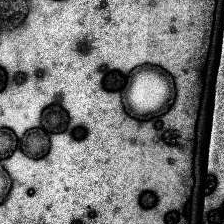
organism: Human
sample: Temporal Lobe